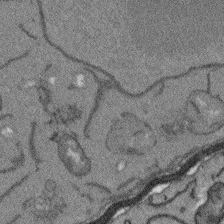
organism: Arabidopsis thaliana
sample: Root tip